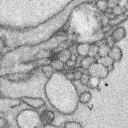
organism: Rabbit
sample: Retina